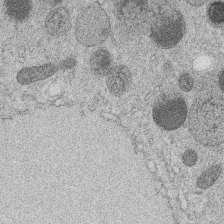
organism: C. elegans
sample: C. elegans embryo early stage